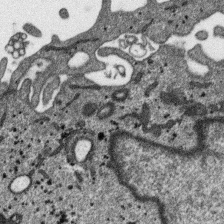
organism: Human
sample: Lung epithelial cells infected with SARS-CoV-2